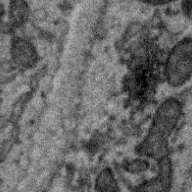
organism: Zebra finch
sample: Brain